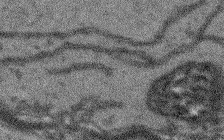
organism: Arabidopsis thaliana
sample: Root tip